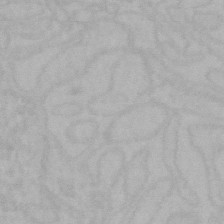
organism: Mouse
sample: Choroid plexus